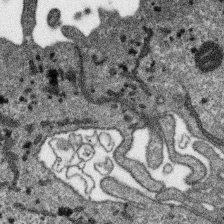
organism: Human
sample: Lung epithelial cells infected with SARS-CoV-2